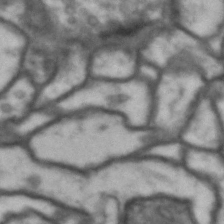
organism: Drosophila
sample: Brain